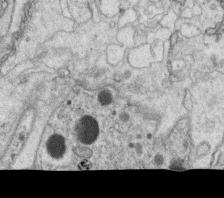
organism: C. elegans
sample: C. elegans oocyte; sperm cells